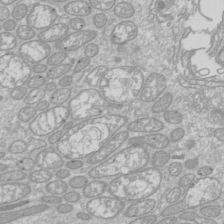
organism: Drosophila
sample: Cell division; meiosis; drosophila spermatocytes